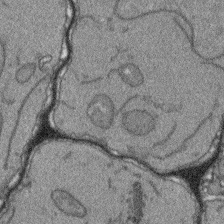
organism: Arabidopsis thaliana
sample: Root tip